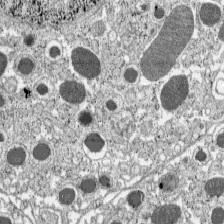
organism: C57BL Mouse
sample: Pancreatic islet